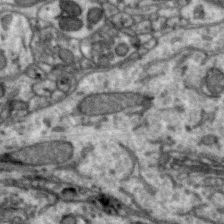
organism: Zebra finch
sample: Brain